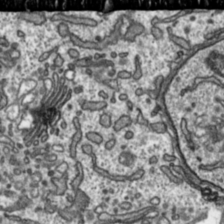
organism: Toxoplasma gondii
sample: Parasites in a vacuole inside a host cell